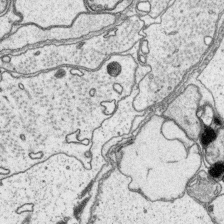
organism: Platynereis dumerilii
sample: Parapodia